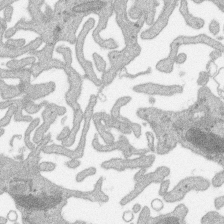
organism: Human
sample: Lung epithelial cells infected with SARS-CoV-2